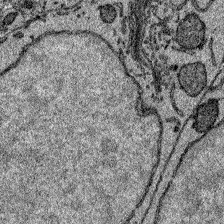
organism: Zebrafish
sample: Larval olfactory bulb